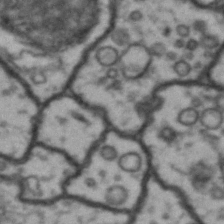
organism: Drosophila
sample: Brain